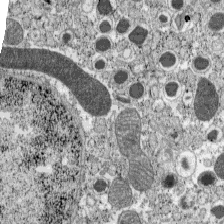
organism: C57BL Mouse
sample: Pancreatic islet